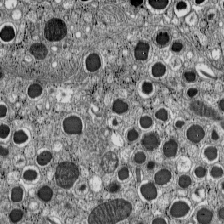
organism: C57BL Mouse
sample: Pancreatic islet